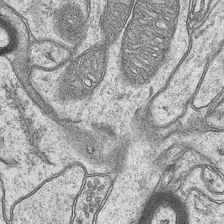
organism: Mouse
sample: CA1 Hippocampus